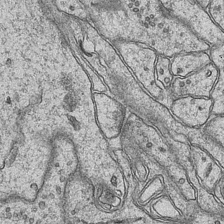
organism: Mouse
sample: CA1 Hippocampus